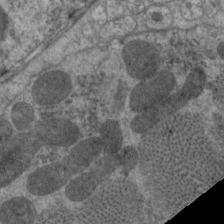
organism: C. elegans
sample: Pharynx